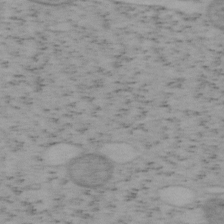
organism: Mouse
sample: OT-I killer T cells with ID8 ovarian cancer cells